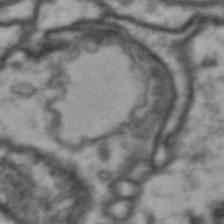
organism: Drosophila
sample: Brain